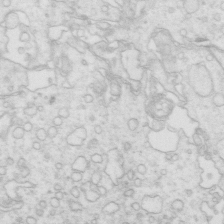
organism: Mouse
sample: Multiciliated cells